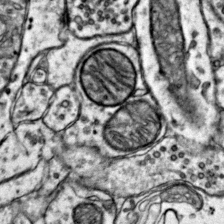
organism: Mouse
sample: Primary visual cortex